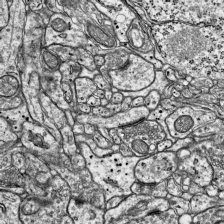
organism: Mouse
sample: Visual Cortex